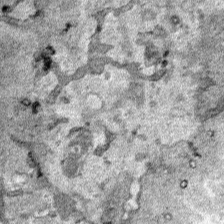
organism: Human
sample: Mitochondria in HCT116 cells